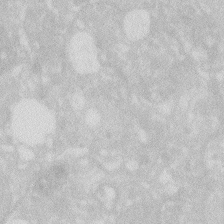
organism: Zebrafish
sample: Macrophage